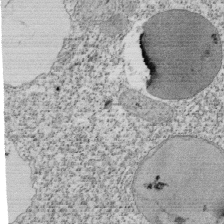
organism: Tetrahymena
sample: Cilia in tetrahymena